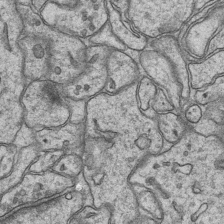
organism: Mouse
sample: CA1 Hippocampus